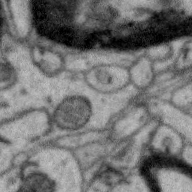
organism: Zebra finch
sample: Brain